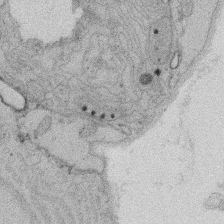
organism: Rat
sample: Salivary granule